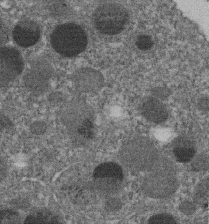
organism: C. elegans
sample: C. elegans embryo early stage